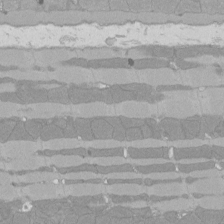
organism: Rat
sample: Left ventricle